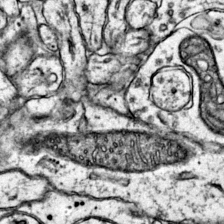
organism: Mouse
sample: Primary visual cortex